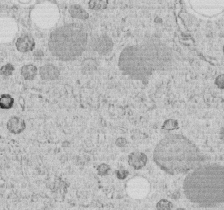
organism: C. elegans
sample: C. elegans embryo early stage